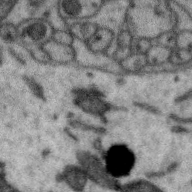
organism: Zebra finch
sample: Brain